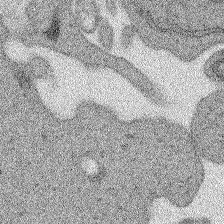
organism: Human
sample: HeLa cells